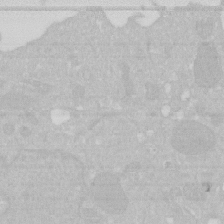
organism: Human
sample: HIV infected U937 cells